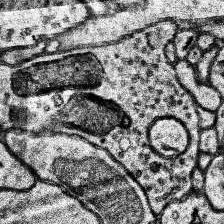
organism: Human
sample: Temporal Lobe